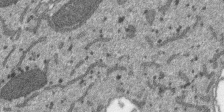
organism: Human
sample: Lung epithelial cells infected with SARS-CoV-2